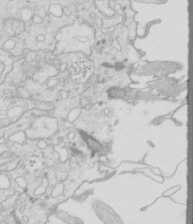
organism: Mouse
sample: Multiciliated cells